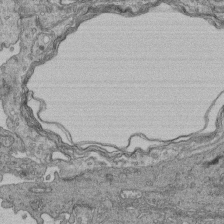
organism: Human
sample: Retinal organoid Rod and Cone cells